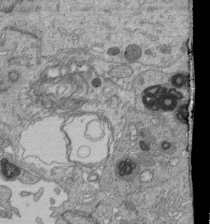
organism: Human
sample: Retinal organoid Rod and Cone cells